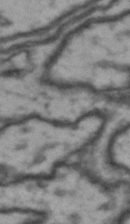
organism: Drosophila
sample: Brain